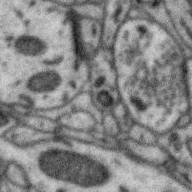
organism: Zebra finch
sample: Brain